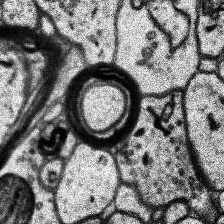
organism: Human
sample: Temporal Lobe